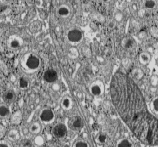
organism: C57BL Mouse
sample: Pancreatic islet